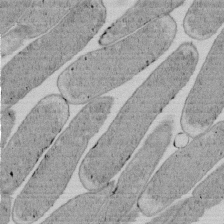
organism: E. coli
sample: Bacterial nucleoid